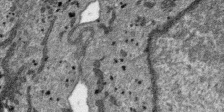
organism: Human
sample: Lung epithelial cells, uninfected (mock) control